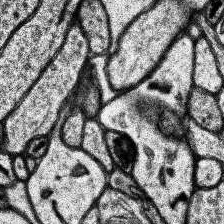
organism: Human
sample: Temporal Lobe